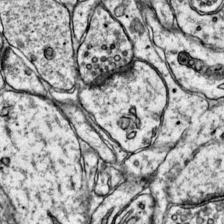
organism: Mouse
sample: Primary visual cortex